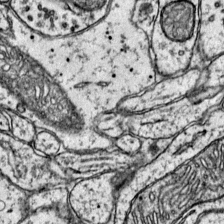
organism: Mouse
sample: Primary visual cortex